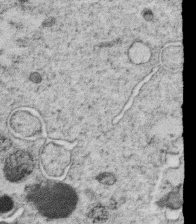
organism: C. elegans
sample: C. elegans oocyte; sperm cells